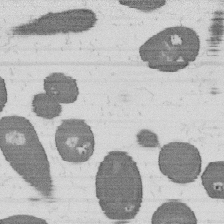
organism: B. subtilis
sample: Bacterial spore